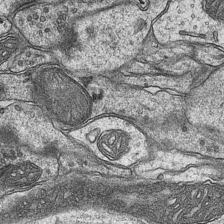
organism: Mouse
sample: CA1 Hippocampus